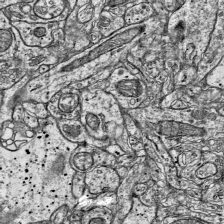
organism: Mouse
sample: Visual Cortex